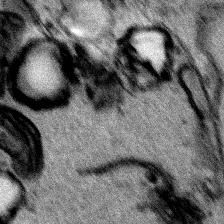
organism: Human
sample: Mitochondria in HCT116 cells